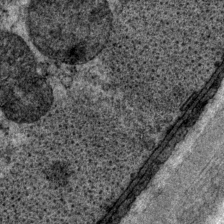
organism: P. pacificus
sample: Pharynx